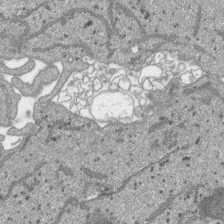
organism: Human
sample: Lung epithelial cells infected with SARS-CoV-2